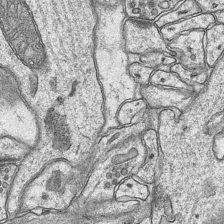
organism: Mouse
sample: CA1 Hippocampus